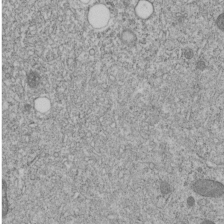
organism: C. elegans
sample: C. elegans embryo early stage